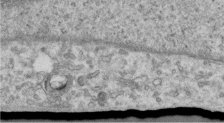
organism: Human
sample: Centriole in RPE cells